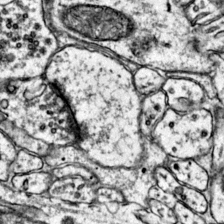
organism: Mouse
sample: Primary visual cortex